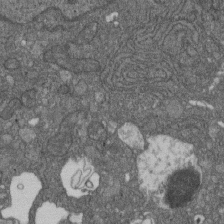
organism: Drosophila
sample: Nephrocyte